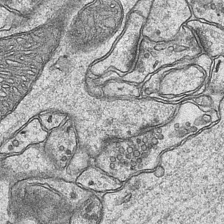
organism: Mouse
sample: CA1 Hippocampus